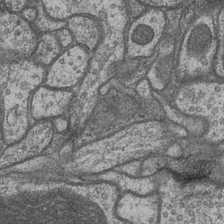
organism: Drosophila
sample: Optic medulla